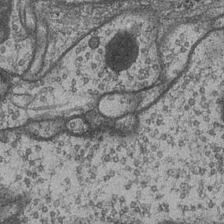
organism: Drosophila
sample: Optic medulla